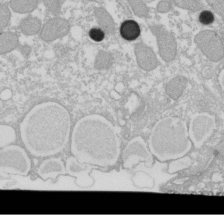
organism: Xenopus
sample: Cilia; centrioles in frog embryo cells